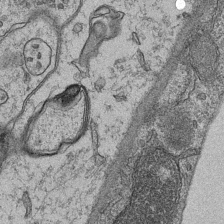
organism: Mouse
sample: CA1 Hippocampus